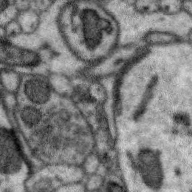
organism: Zebra finch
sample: Brain